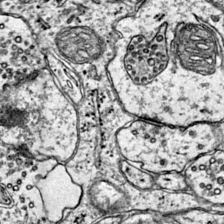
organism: Mouse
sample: Primary visual cortex